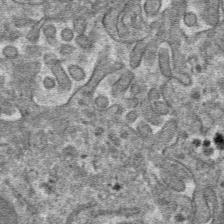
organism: Mouse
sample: Mouse hepatocytes